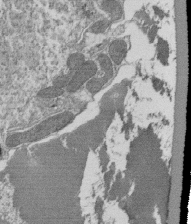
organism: Tetrahymena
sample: Cilia in tetrahymena